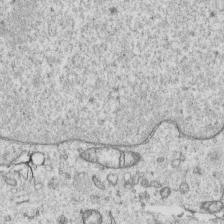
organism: Human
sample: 1205lu cells